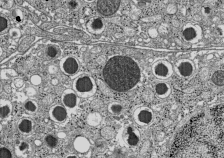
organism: C57BL Mouse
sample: Pancreatic islet